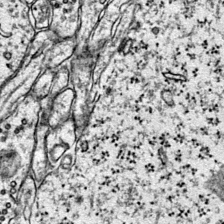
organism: Mouse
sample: Primary visual cortex